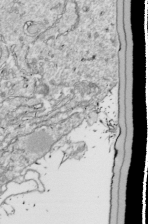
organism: Drosophila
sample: Cell division; meiosis; drosophila spermatocytes